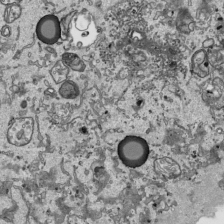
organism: Human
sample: Mitochondria in HCT116 cells